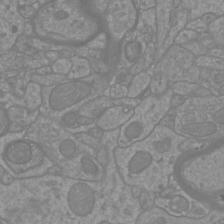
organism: Mouse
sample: Cortical neurons